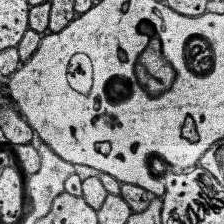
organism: Human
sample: Temporal Lobe